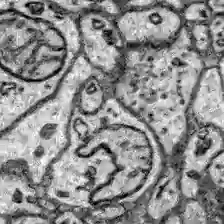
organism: Zebrafish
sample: Brain